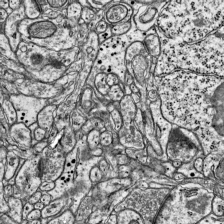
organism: Mouse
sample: Visual Cortex